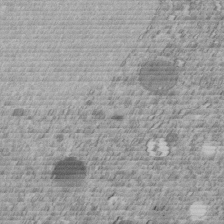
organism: C. elegans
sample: C. elegans embryo early stage